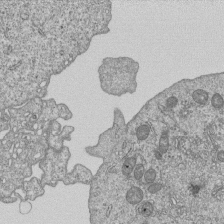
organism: Human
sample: MDA-MB-231 cells